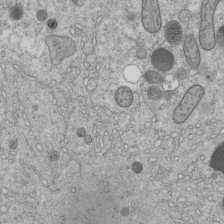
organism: C. elegans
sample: C. elegans embryo early stage